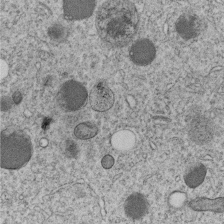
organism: C. elegans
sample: C. elegans embryo early stage